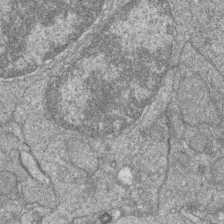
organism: Zebrafish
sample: Cilia; retinal pigment epithelium